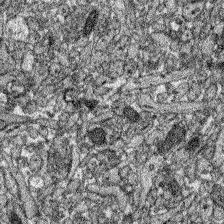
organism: Zebrafish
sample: Larval olfactory bulb